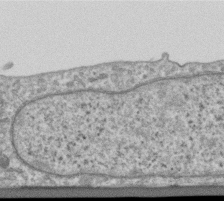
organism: Human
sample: Centriole in RPE cells